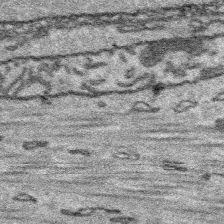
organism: Platynereis dumerilii